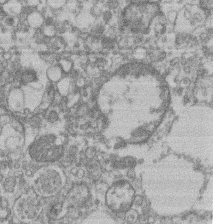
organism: Mouse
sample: T cell stromal cell synapse